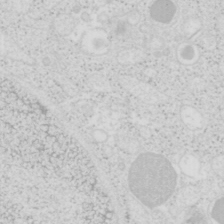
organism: Mouse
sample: Pancreas